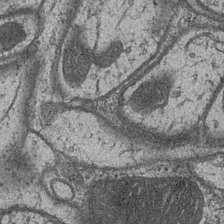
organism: Drosophila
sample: Optic medulla